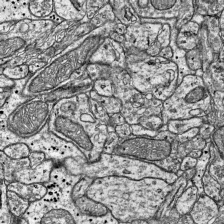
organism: Mouse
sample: Visual Cortex